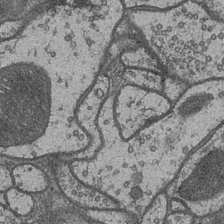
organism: Drosophila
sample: Optic medulla